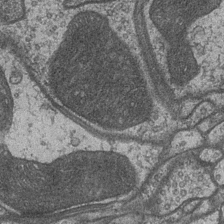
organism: Drosophila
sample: Optic medulla